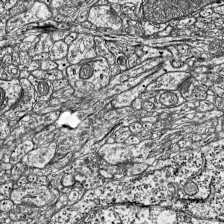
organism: Mouse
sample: Visual Cortex